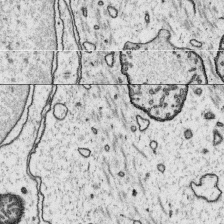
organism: Platynereis dumerilii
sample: Parapodia